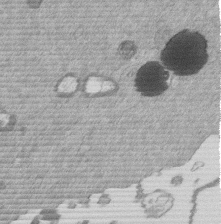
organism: Mouse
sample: Dividing mouse embryo 1 cell stage